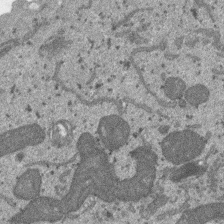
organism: Human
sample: Lung epithelial cells infected with SARS-CoV-2